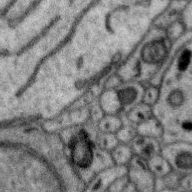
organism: Zebra finch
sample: Brain